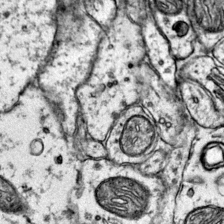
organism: Mouse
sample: Primary visual cortex